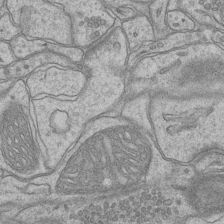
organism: Mouse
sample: CA1 Hippocampus